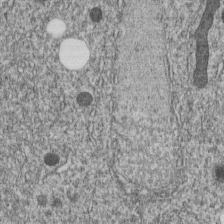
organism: C. elegans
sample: C. elegans embryo early stage